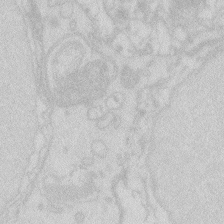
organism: Zebrafish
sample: Macrophage